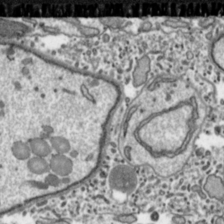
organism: Toxoplasma gondii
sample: Parasites in a vacuole inside a host cell